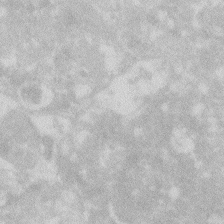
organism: Zebrafish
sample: Macrophage